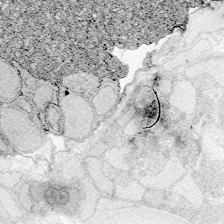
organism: Zebrafish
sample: Whole-Brain